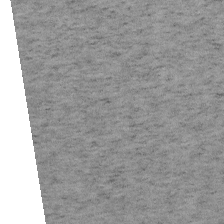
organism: Mouse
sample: OT-I killer T cells with ID8 ovarian cancer cells